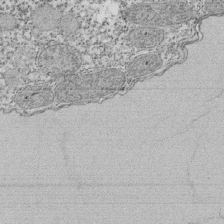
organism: Tetrahymena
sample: Cilia in tetrahymena